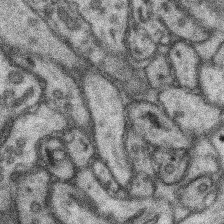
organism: Mouse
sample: Somatosensory cortex neuropil